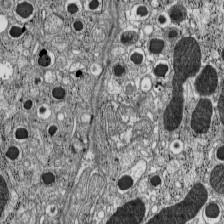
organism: C57BL Mouse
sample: Pancreatic islet